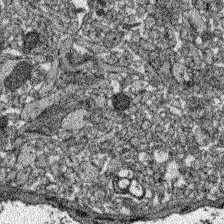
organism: Zebrafish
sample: Larval olfactory bulb